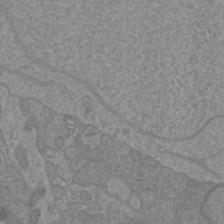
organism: Mouse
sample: Cortical neurons